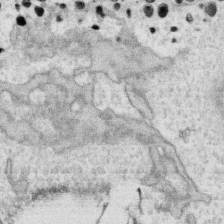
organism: Human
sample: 1205lu cells